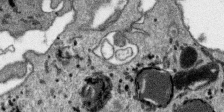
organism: Human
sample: Lung epithelial cells, uninfected (mock) control